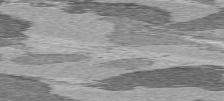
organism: C57BL Mouse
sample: Heart